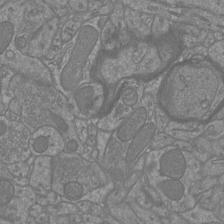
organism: Mouse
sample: Cortical neurons